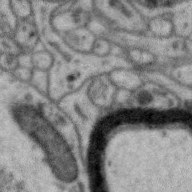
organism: Zebra finch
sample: Brain